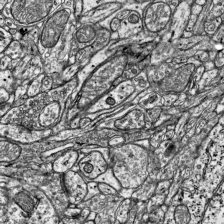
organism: Mouse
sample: Visual Cortex